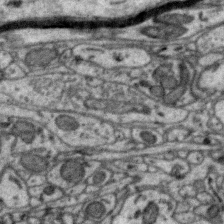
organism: Zebra finch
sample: Brain